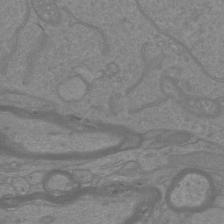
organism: Mouse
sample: Cortical neurons